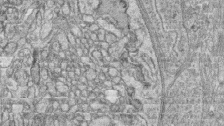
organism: Zebrafish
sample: synaptic ribbons in rod cells and cone cells